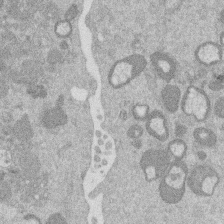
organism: Mouse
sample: Dividing mouse embryo 1 cell stage